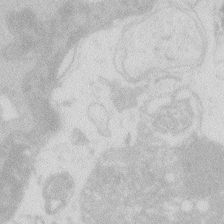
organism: Zebrafish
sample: Macrophage